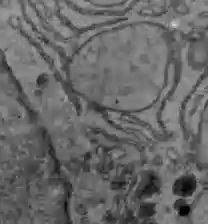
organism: C57BL Mouse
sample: Liver